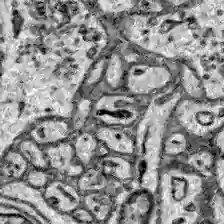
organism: Zebrafish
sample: Brain